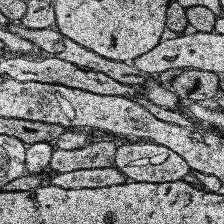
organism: Human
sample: Temporal Lobe